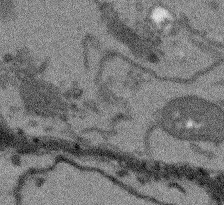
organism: Arabidopsis thaliana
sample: Root tip